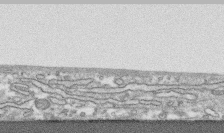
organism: Human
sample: CRL-1474